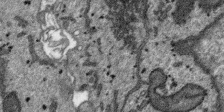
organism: Human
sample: Lung epithelial cells, uninfected (mock) control